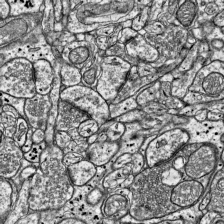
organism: Mouse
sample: Visual Cortex